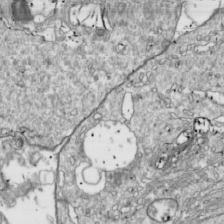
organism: Drosophila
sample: Cell division; meiosis; drosophila spermatocytes